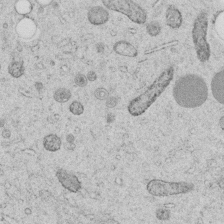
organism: C. elegans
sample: C. elegans embryo early stage